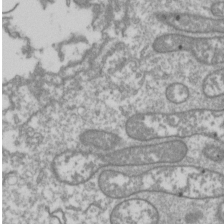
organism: Drosophila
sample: Cell division; meiosis; drosophila spermatocytes